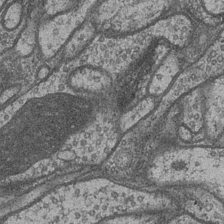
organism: Drosophila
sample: Optic medulla